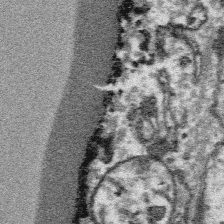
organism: Platynereis dumerilii